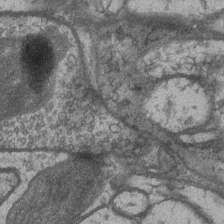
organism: Drosophila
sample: Optic medulla